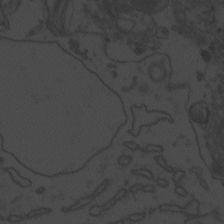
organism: Zebrafish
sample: Macrophage infected with Toxoplasma gondii